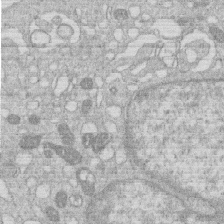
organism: Human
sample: Macrophage cells